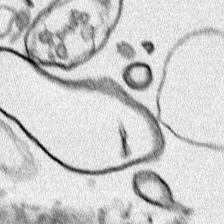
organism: Human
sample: Mitochondria in HCT116 cells